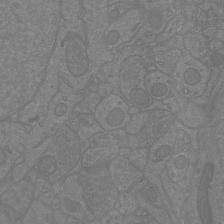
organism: Mouse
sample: Cortical neurons